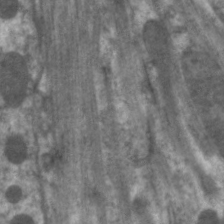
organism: C. elegans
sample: Pharynx